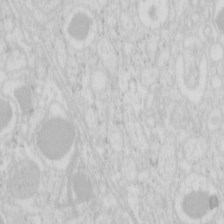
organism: Mouse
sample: Pancreas